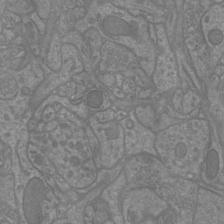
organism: Mouse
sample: Cortical neurons